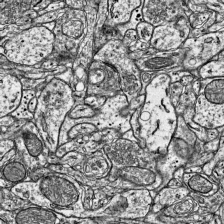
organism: Mouse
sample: Visual Cortex